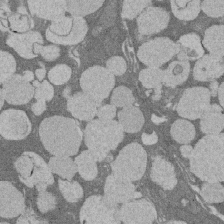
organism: Rat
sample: Salivary granule